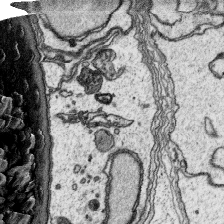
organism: Platynereis dumerilii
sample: Parapodia